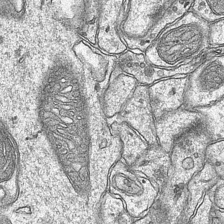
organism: Mouse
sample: CA1 Hippocampus